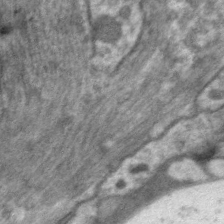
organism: C. elegans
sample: Pharynx